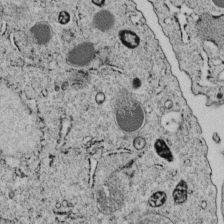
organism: C. elegans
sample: C. elegans embryo early stage